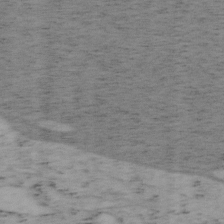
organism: Mouse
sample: OT-I killer T cells with ID8 ovarian cancer cells